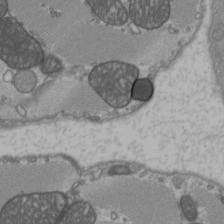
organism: C57BL Mouse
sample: Heart